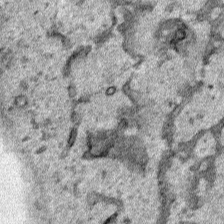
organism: Human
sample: Mitochondria in HCT116 cells